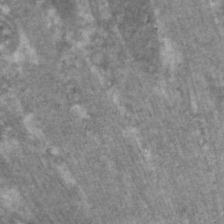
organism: C. elegans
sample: Pharynx